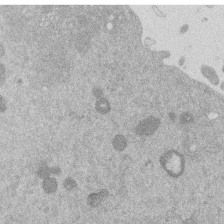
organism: Mouse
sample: Dividing mouse embryo 1 cell stage